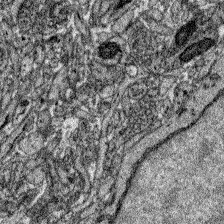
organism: Zebrafish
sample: Larval olfactory bulb